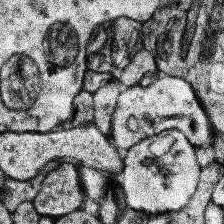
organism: Human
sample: Temporal Lobe